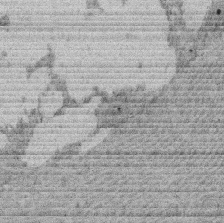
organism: Rat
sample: Salivary granule